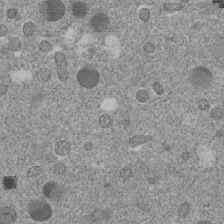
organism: C. elegans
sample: C. elegans embryo early stage